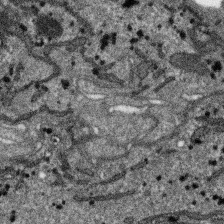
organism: Human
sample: Lung epithelial cells infected with SARS-CoV-2